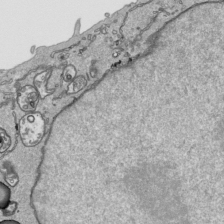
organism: Human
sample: Mitochondria in HCT116 cells